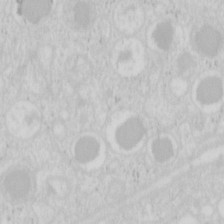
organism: Mouse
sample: Pancreas